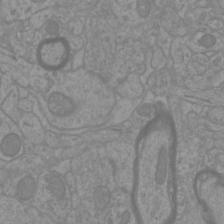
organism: Mouse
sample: Cortical neurons